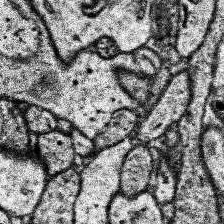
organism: Human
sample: Temporal Lobe